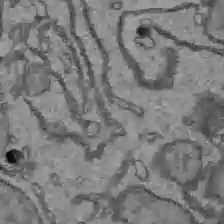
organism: C57BL Mouse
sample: Liver